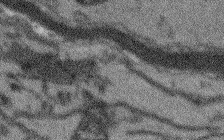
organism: Arabidopsis thaliana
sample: Root tip